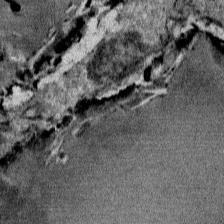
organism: Mouse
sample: Mouse Salivary gland